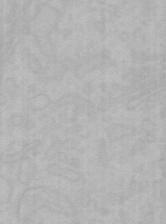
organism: Mouse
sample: Choroid plexus